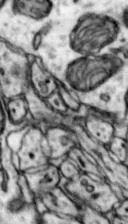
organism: Mouse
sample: Nucleus accumbens